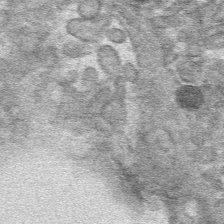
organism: Mouse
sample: Mouse hepatocytes